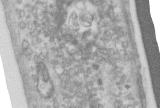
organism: Human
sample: Centriole in RPE cells